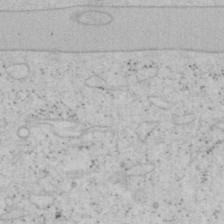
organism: Human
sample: HeLa cells